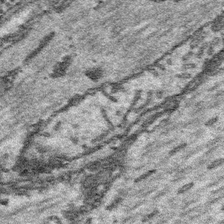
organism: Platynereis dumerilii